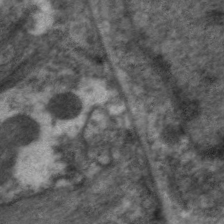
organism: C. elegans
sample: Pharynx